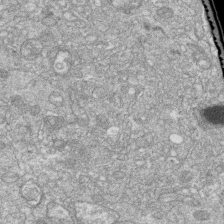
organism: Human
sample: HeLa cell HIV synapse